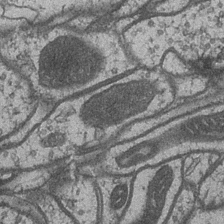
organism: Drosophila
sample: Optic medulla